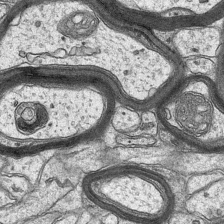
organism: Mouse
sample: CA1 Hippocampus